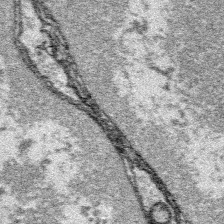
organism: Platynereis dumerilii